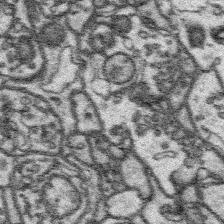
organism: Platynereis dumerilii